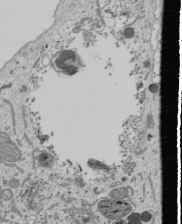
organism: Human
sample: Mitochondria in U2OS cells